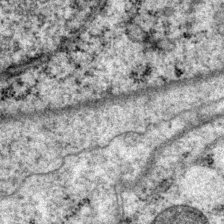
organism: P. pacificus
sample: Pharynx